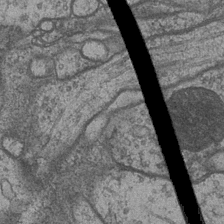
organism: Drosophila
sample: Optic medulla